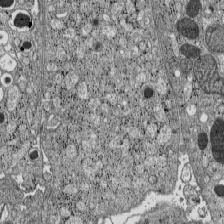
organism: C57BL Mouse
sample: Pancreatic islet